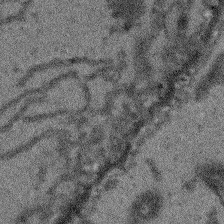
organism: Arabidopsis thaliana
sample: Root tip